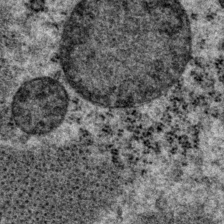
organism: P. pacificus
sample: Pharynx